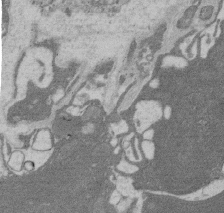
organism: Rat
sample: Salivary granule